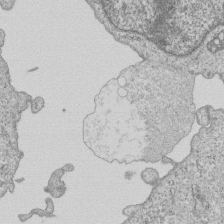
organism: Human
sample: MDA-MB-231 cells